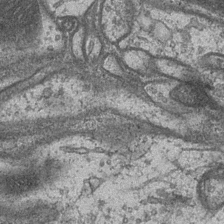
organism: Drosophila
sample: Optic medulla